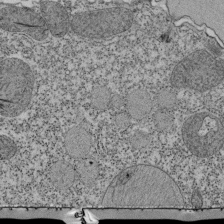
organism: Tetrahymena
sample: Cilia in tetrahymena